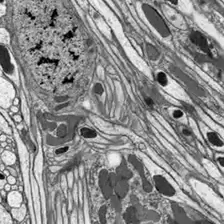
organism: Drosophila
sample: Optic lobe